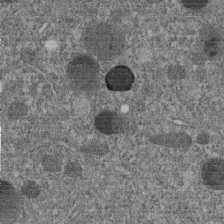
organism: C. elegans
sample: C. elegans embryo early stage